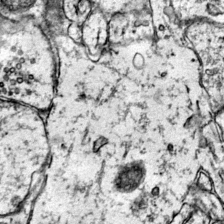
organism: Mouse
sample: Primary visual cortex